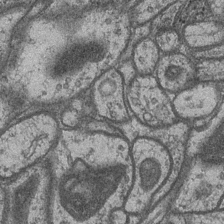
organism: Drosophila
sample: Optic medulla